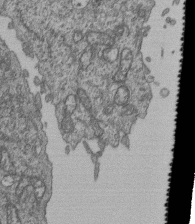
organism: Human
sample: Retinal organoid Rod and Cone cells